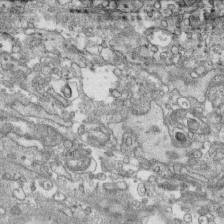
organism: Human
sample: CRL-1474